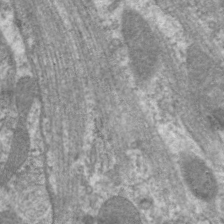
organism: C. elegans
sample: Pharynx